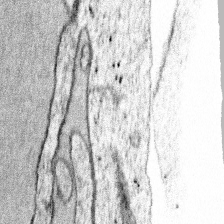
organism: Human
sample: HeLa cells